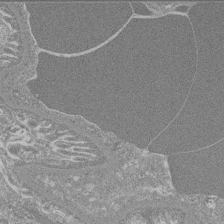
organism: Mouse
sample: Glomerulus